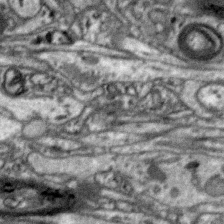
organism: Zebra finch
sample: Brain